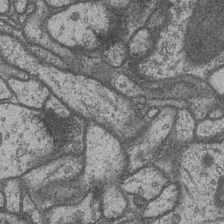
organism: Drosophila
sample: Optic medulla